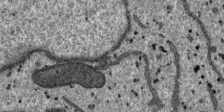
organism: Human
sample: Lung epithelial cells, uninfected (mock) control